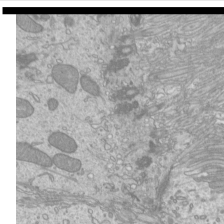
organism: Mouse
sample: Cilia; mouse epididymis